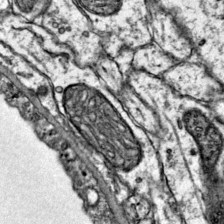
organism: Mouse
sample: Primary visual cortex